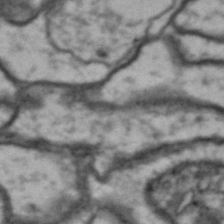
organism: Drosophila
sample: Brain